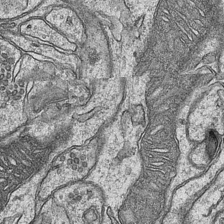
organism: Mouse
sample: CA1 Hippocampus